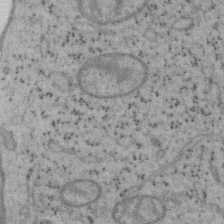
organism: Human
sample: HeLa cells